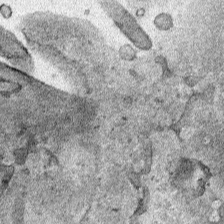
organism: Human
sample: Mitochondria in HCT116 cells